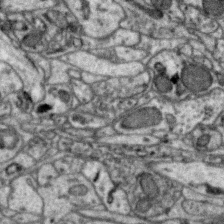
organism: Zebra finch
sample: Brain